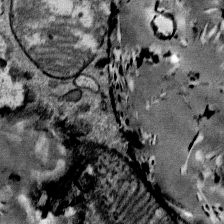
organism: Mouse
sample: Mouse Salivary gland